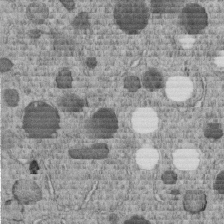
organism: C. elegans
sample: C. elegans embryo early stage